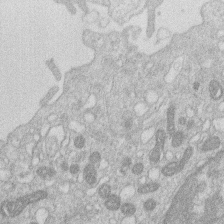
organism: Human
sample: Macrophage cells